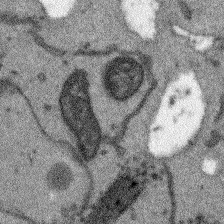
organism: Arabidopsis thaliana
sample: Root tip